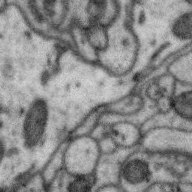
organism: Zebra finch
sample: Brain